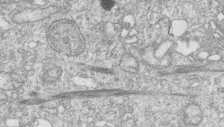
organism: Human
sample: HeLa cell HIV synapse